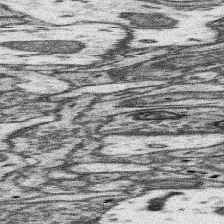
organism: Mouse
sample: Somatosensory cortex neuropil